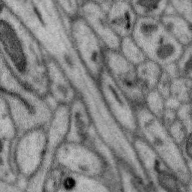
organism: Zebra finch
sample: Brain